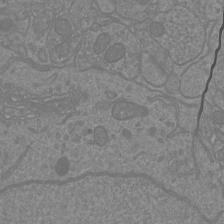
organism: Mouse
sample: Cortical neurons